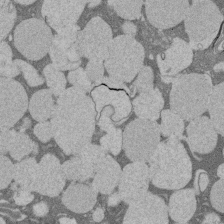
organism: Rat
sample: Salivary granule